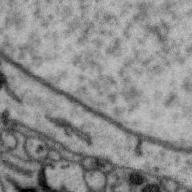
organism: Zebra finch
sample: Brain